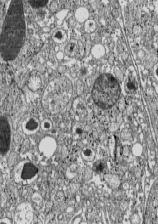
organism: C57BL Mouse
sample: Pancreatic islet